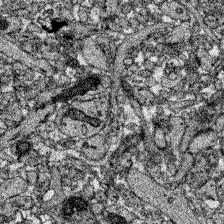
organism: Zebrafish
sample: Larval olfactory bulb